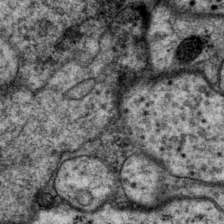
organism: P. pacificus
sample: Pharynx